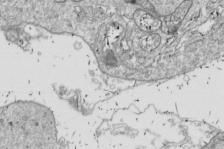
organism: Drosophila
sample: Cell division; meiosis; drosophila spermatocytes